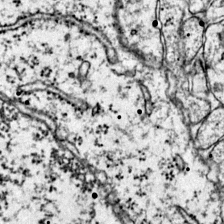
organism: Mouse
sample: Primary visual cortex